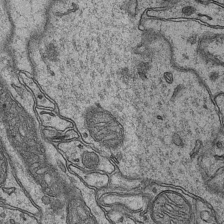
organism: Mouse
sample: CA1 Hippocampus